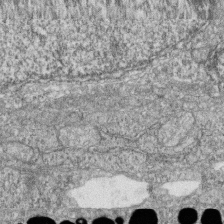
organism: Zebrafish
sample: Cilia; retinal pigment epithelium